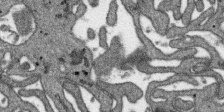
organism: Human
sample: Lung epithelial cells, uninfected (mock) control